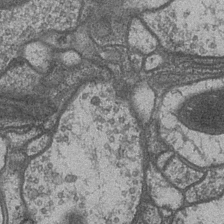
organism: Drosophila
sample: Optic medulla